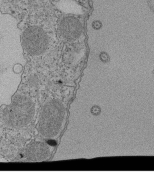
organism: Tetrahymena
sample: Cilia in tetrahymena